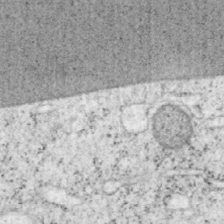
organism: Mouse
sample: OT-I killer T cells with ID8 ovarian cancer cells